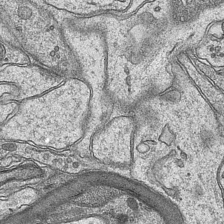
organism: Mouse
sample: CA1 Hippocampus